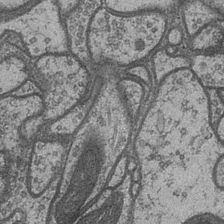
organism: Drosophila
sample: Optic medulla